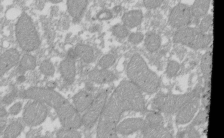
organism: Xenopus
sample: Cilia; centrioles in frog embryo cells